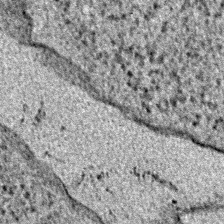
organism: E. coli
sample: E. Coli Bacteria